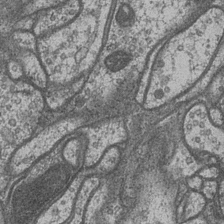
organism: Drosophila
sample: Optic medulla